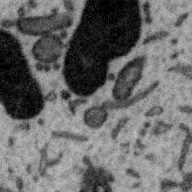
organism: Zebra finch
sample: Brain